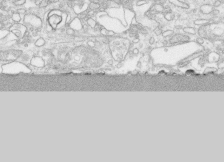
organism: Human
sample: CRL-1474